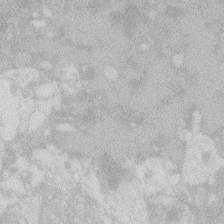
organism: Zebrafish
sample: Macrophage